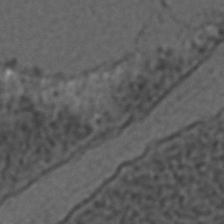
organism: C. elegans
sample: C. elegans embryo